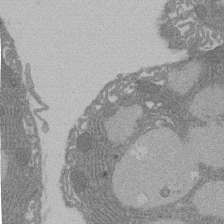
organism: Rat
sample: Salivary granule